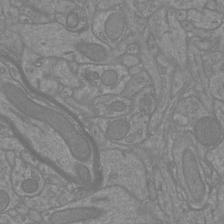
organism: Mouse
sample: Cortical neurons